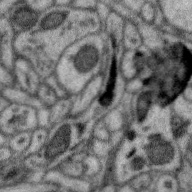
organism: Zebra finch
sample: Brain